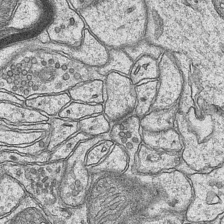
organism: Mouse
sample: CA1 Hippocampus